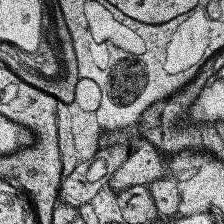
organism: Human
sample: Temporal Lobe